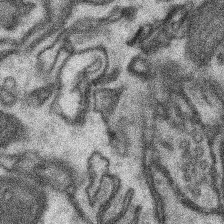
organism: Mouse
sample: Somatosensory cortex neuropil